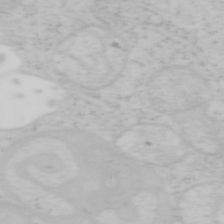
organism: Mouse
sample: OT-I killer T cells with ID8 ovarian cancer cells